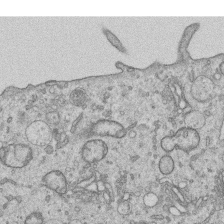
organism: Human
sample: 1205lu cells